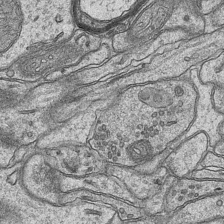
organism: Mouse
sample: CA1 Hippocampus